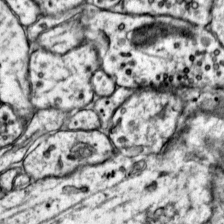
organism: Mouse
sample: Primary visual cortex